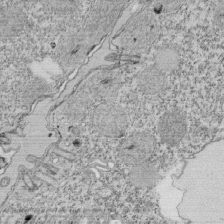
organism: Tetrahymena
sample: Cilia in tetrahymena